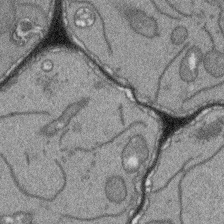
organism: Arabidopsis thaliana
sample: Root tip